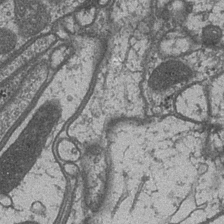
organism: Drosophila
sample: Optic medulla